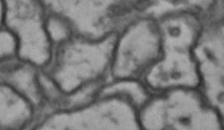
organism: Drosophila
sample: Brain